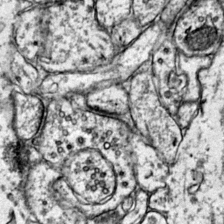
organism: Mouse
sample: Primary visual cortex